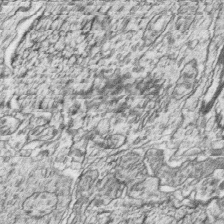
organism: Zebrafish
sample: synaptic ribbons in rod cells and cone cells